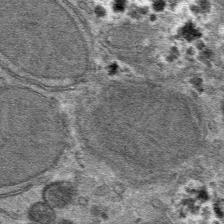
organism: Mouse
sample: Mouse hepatocytes